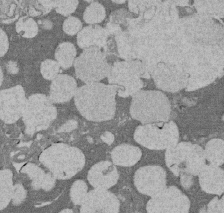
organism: Rat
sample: Salivary granule